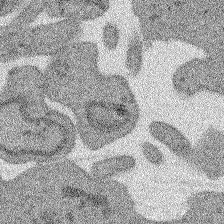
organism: Human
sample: HeLa cells